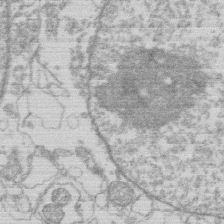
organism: Human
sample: Macrophage cells